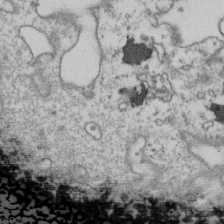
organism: Human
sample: Activated Jurkat CD4+ T cells